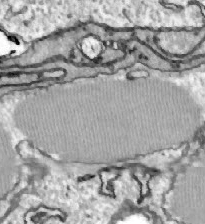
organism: Zebrafish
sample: Actinotrichia fibers